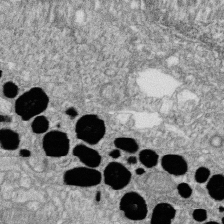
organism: Zebrafish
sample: Cilia; retinal pigment epithelium